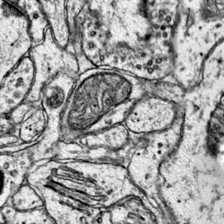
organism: Mouse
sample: Primary visual cortex